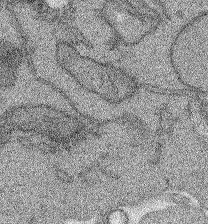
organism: Human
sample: HeLa cells